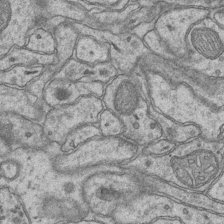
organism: Mouse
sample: CA1 Hippocampus